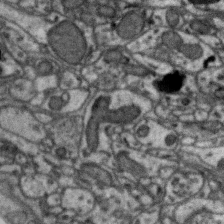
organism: Zebra finch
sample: Brain